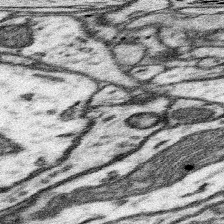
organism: Mouse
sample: Somatosensory cortex neuropil